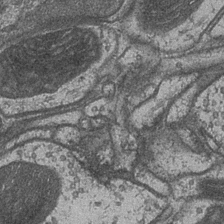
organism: Drosophila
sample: Optic medulla